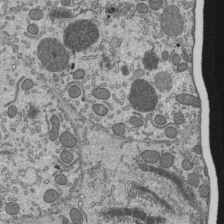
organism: Mouse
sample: Mouse epididymis efferent ductule cilia